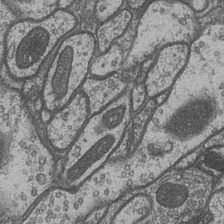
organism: Drosophila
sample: Optic medulla